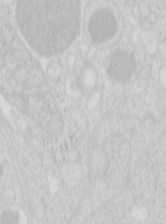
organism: Mouse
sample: Pancreas